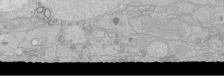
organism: Human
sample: Caco-2 cells